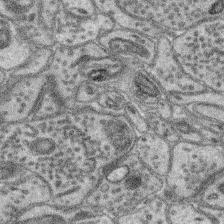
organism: Mouse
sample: Retina